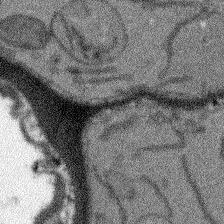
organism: Arabidopsis thaliana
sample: Root tip